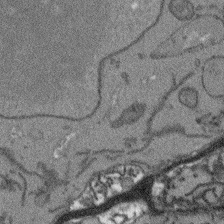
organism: Arabidopsis thaliana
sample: Root tip